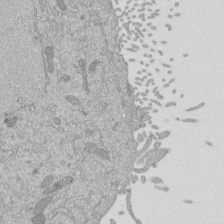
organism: Mouse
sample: ED-1 cell nuclei; centrioles